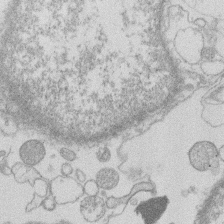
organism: Human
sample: Macrophage cells